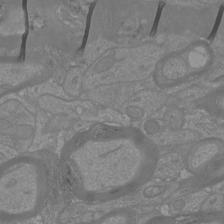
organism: Mouse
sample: Cortical neurons